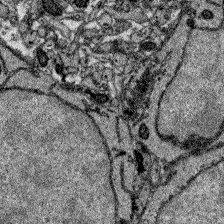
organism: Zebrafish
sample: Larval olfactory bulb